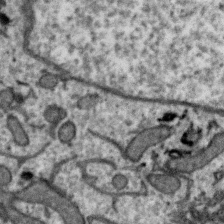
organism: Zebra finch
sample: Brain